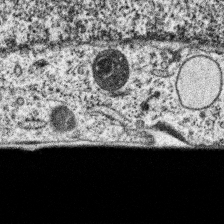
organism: Human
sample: HeLa cells